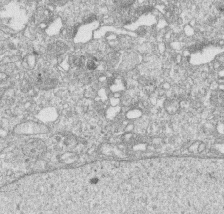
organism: Human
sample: HeLa cell HIV synapse